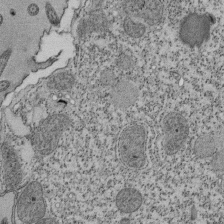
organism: Tetrahymena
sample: Cilia in tetrahymena